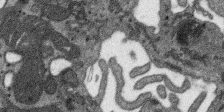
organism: Human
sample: Lung epithelial cells infected with SARS-CoV-2